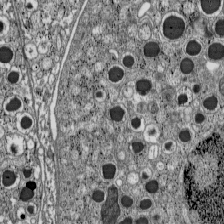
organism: C57BL Mouse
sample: Pancreatic islet